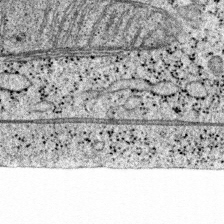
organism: Human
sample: HeLa cells